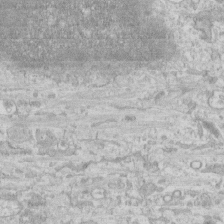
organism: Human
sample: CRL-1474